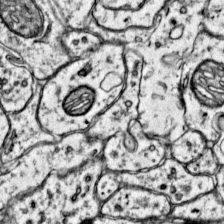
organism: Mouse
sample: Primary visual cortex